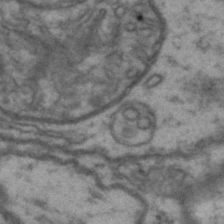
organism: Drosophila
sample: Brain